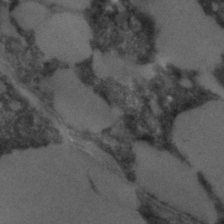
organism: C. elegans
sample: C. elegans embryo